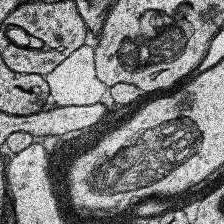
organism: Human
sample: Temporal Lobe